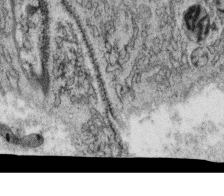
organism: C. elegans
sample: C. elegans oocyte; sperm cells